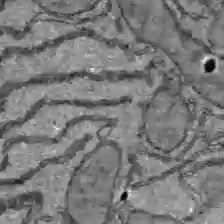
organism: C57BL Mouse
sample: Liver